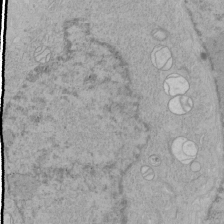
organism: Human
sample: Mitochondria in HCT116 cells